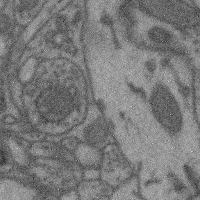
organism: Mouse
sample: Cerebral cortex